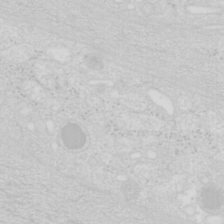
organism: Mouse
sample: Pancreas